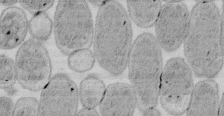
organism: E. coli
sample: Bacterial nucleoid